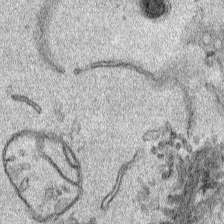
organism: Human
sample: Mitochondria in HCT116 cells